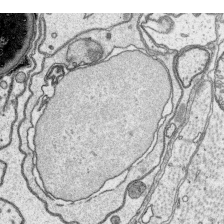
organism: Platynereis dumerilii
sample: Parapodia